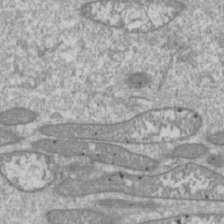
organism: Drosophila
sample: Cell division; meiosis; drosophila spermatocytes